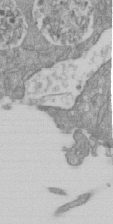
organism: Mouse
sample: ED-1 cell nuclei; centrioles